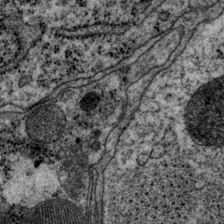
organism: P. pacificus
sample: Pharynx